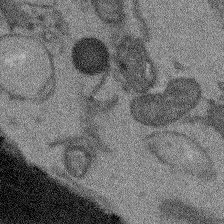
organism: Arabidopsis thaliana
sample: Root tip